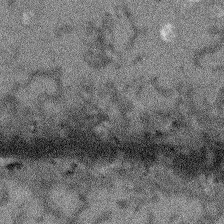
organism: Arabidopsis thaliana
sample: Root tip